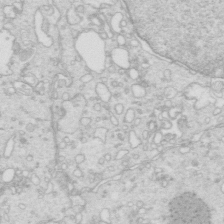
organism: Mouse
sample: Multiciliated cells